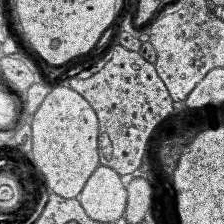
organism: Human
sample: Temporal Lobe